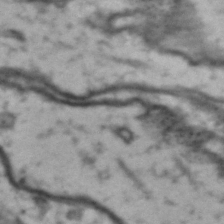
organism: Drosophila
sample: Brain